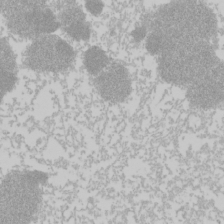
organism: Mouse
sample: Cancer cell death in ED-1 cells